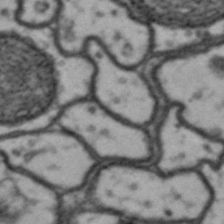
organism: Drosophila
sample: Brain